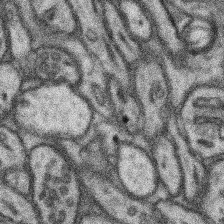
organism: Mouse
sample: Somatosensory cortex neuropil